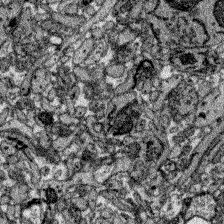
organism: Zebrafish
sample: Larval olfactory bulb